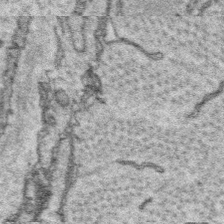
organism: Platynereis dumerilii